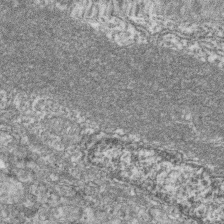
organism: Zebrafish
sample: Cilia; retinal pigment epithelium